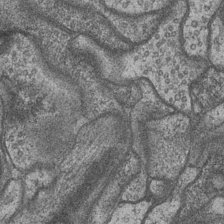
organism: Drosophila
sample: Optic medulla